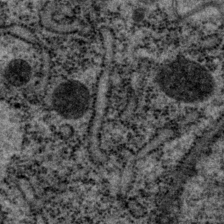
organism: P. pacificus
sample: Pharynx